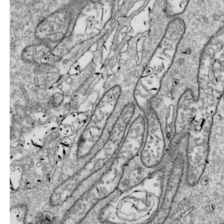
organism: Drosophila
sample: Cell division; meiosis; drosophila spermatocytes